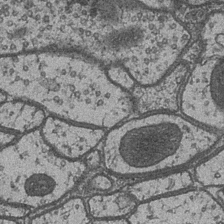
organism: Drosophila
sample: Optic medulla